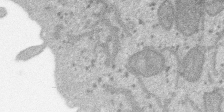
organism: Human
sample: Lung epithelial cells infected with SARS-CoV-2